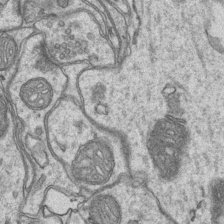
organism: Mouse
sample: CA1 Hippocampus